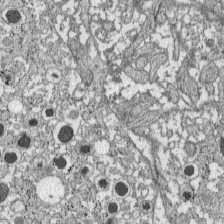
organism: C57BL Mouse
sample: Pancreatic islet